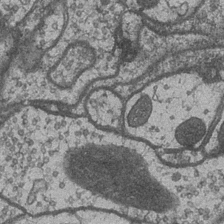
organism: Drosophila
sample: Optic medulla